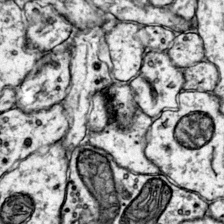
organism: Mouse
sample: Primary visual cortex